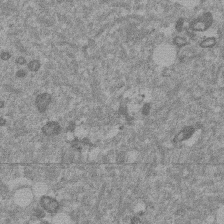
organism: Mouse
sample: Dividing mouse embryo 1 cell stage